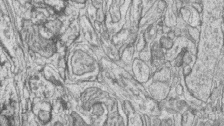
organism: Zebrafish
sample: synaptic ribbons in rod cells and cone cells